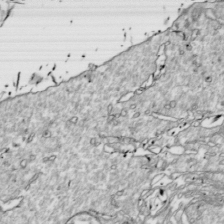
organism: Drosophila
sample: Cell division; meiosis; drosophila spermatocytes